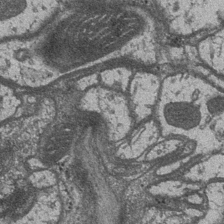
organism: Drosophila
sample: Optic medulla